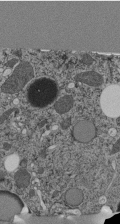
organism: C. elegans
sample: C. elegans pharynx